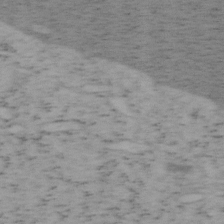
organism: Mouse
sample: OT-I killer T cells with ID8 ovarian cancer cells